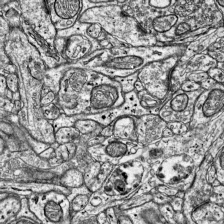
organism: Mouse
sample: Visual Cortex